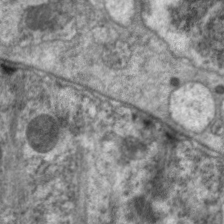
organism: C. elegans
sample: Pharynx